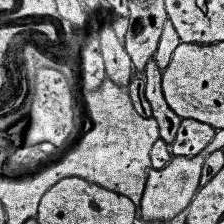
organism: Human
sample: Temporal Lobe